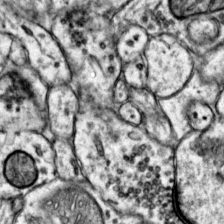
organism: Mouse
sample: Primary visual cortex